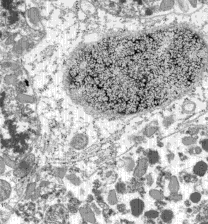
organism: C57BL Mouse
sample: Pancreatic islet